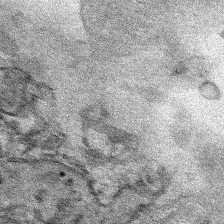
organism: Human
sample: Mitochondria in HCT116 cells